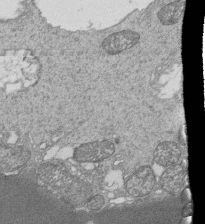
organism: Tetrahymena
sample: Cilia in tetrahymena